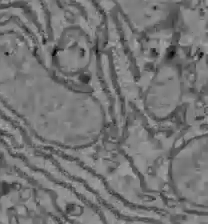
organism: C57BL Mouse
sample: Liver